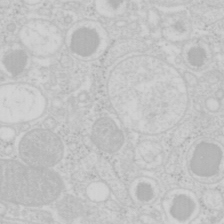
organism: Mouse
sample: Pancreas